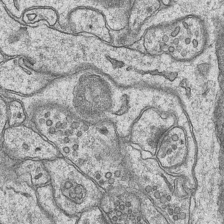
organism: Mouse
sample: CA1 Hippocampus